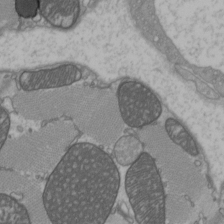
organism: C57BL Mouse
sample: Heart